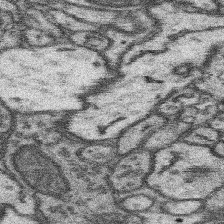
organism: Mouse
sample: Somatosensory cortex neuropil